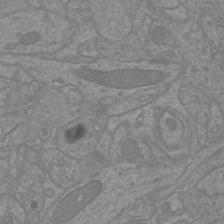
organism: Mouse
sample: Cortical neurons